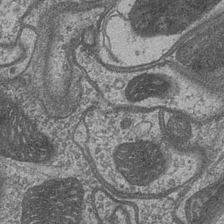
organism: Drosophila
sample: Optic medulla